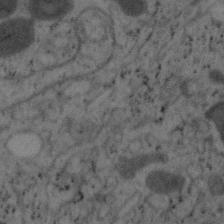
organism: Human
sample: HeLa cells